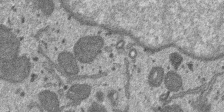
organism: Human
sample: Lung epithelial cells infected with SARS-CoV-2